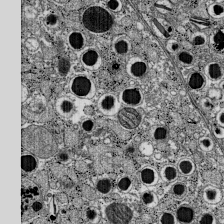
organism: C57BL Mouse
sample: Pancreatic islet